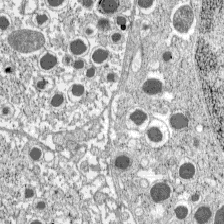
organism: C57BL Mouse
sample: Pancreatic islet